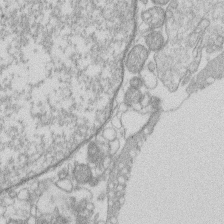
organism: Human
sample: Macrophage cells